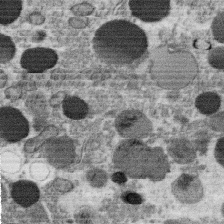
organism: C. elegans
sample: C. elegans oocyte; sperm cells